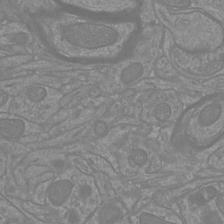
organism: Mouse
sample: Cortical neurons